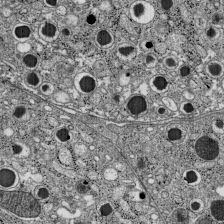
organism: C57BL Mouse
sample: Pancreatic islet